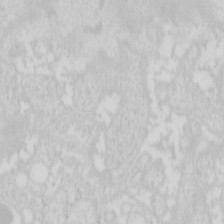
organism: Mouse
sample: Pancreas